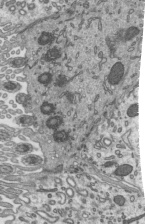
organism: Mouse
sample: Mouse epididymis efferent ductule cilia